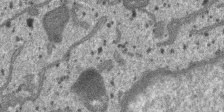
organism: Human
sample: Lung epithelial cells infected with SARS-CoV-2